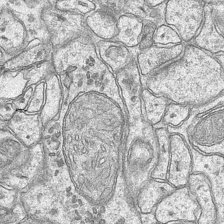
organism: Mouse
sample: CA1 Hippocampus